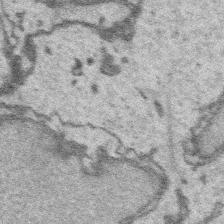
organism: Platynereis dumerilii